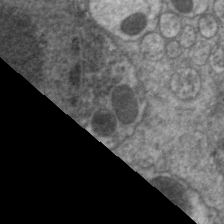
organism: C. elegans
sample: Pharynx